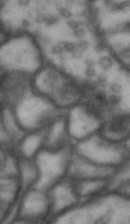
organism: Drosophila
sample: Brain